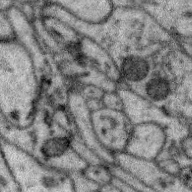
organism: Zebra finch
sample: Brain